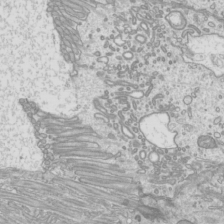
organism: Mouse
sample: Cilia; mouse epididymis